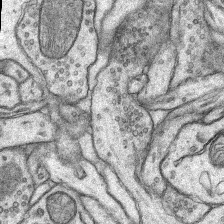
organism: Rat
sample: Hippocampus